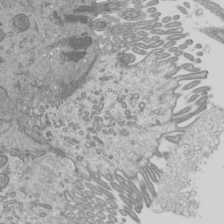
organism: Mouse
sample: Cilia; mouse epididymis